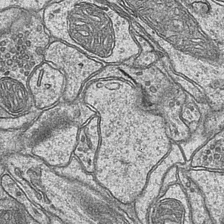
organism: Mouse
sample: CA1 Hippocampus